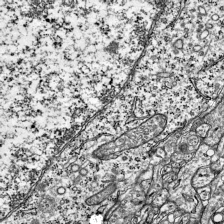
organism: Mouse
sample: Visual Cortex